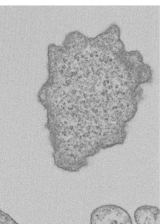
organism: Human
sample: MDA-MB-231 cells